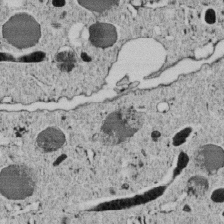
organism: C. elegans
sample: C. elegans embryo early stage